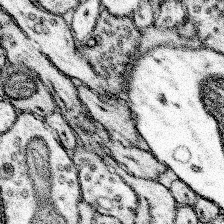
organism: Mouse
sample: Somatosensory cortex neuropil